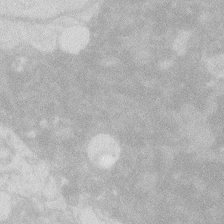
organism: Zebrafish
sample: Macrophage